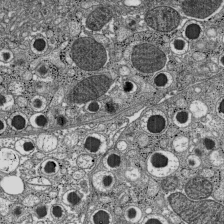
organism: C57BL Mouse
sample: Pancreatic islet